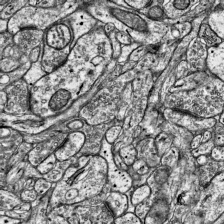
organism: Mouse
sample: Visual Cortex